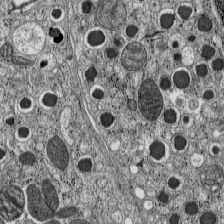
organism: C57BL Mouse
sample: Pancreatic islet